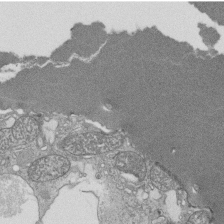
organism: Tetrahymena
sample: Cilia in tetrahymena